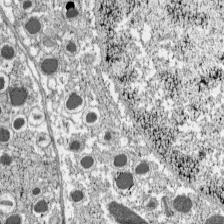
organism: C57BL Mouse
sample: Pancreatic islet